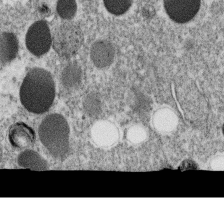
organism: C. elegans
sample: C. elegans oocyte; sperm cells